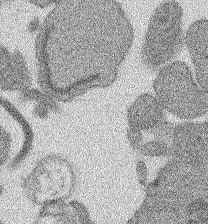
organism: Human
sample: HeLa cells